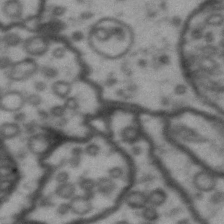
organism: Drosophila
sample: Brain